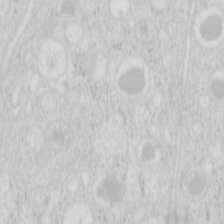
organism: Mouse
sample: Pancreas